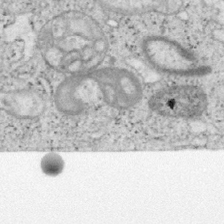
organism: Mouse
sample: OT-I killer T cells with ID8 ovarian cancer cells